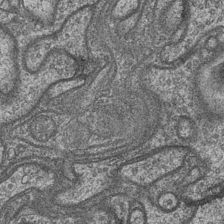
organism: Drosophila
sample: Optic medulla